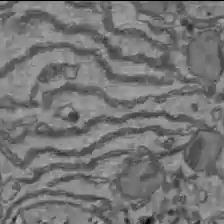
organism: C57BL Mouse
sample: Liver